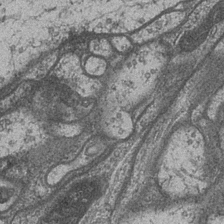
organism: Drosophila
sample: Optic medulla